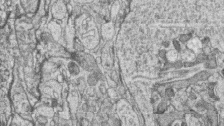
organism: Zebrafish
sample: synaptic ribbons in rod cells and cone cells